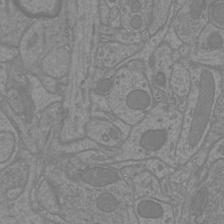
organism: Mouse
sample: Cortical neurons